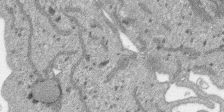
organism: Human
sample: Lung epithelial cells infected with SARS-CoV-2